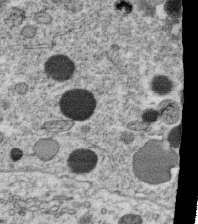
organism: C. elegans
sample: C. elegans oocyte; sperm cells